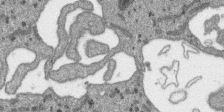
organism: Human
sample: Lung epithelial cells infected with SARS-CoV-2